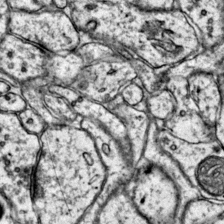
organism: Mouse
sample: Primary visual cortex